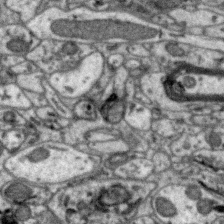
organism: Zebra finch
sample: Brain